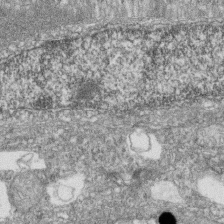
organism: Zebrafish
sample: Cilia; retinal pigment epithelium